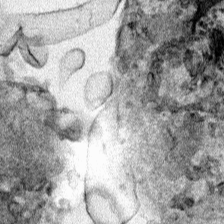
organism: Human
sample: Mitochondria in HCT116 cells